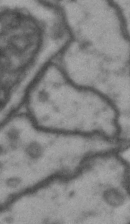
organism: Drosophila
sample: Brain